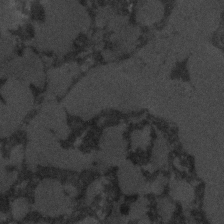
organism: C. elegans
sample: C. elegans embryo